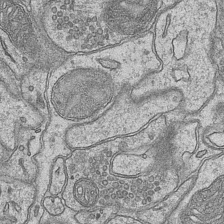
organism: Mouse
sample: CA1 Hippocampus